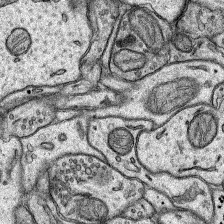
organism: Rat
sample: Hippocampus